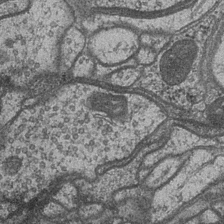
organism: Drosophila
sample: Optic medulla